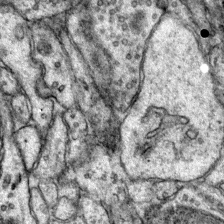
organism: Mouse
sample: Primary visual cortex